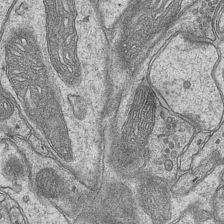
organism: Mouse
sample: CA1 Hippocampus